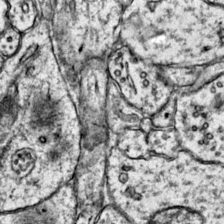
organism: Mouse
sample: Primary visual cortex